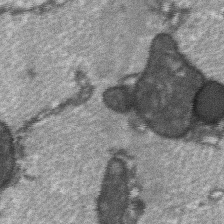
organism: C57BL Mouse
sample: Soleus